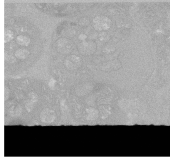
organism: C. elegans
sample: C. elegans oocyte; sperm cells